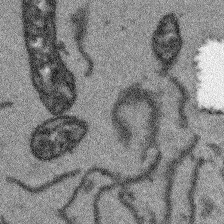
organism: Arabidopsis thaliana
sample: Root tip